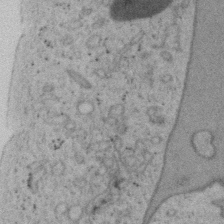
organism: Human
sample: HeLa cells